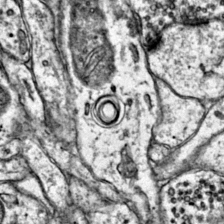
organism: Mouse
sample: Primary visual cortex